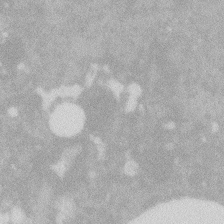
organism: Zebrafish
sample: Macrophage